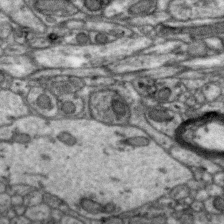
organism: Zebra finch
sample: Brain